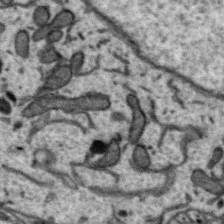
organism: Zebra finch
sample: Brain